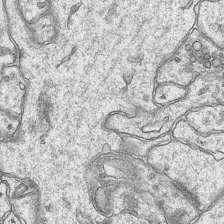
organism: Mouse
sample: CA1 Hippocampus